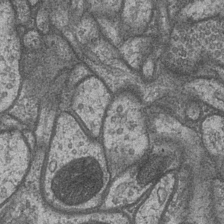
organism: Drosophila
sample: Optic medulla